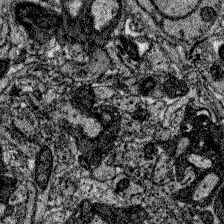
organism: Zebrafish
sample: Larval olfactory bulb